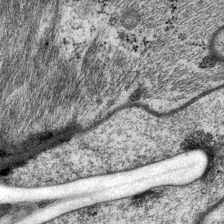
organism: P. pacificus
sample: Pharynx